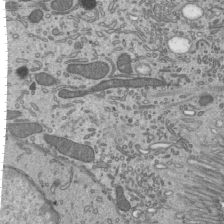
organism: Mouse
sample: Mouse epididymis efferent ductule cilia